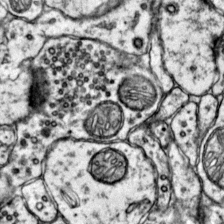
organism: Mouse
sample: Primary visual cortex